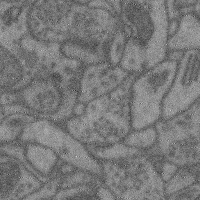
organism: Mouse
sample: Cerebral cortex